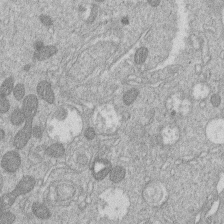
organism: Human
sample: Macrophage cells